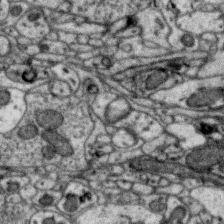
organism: Zebra finch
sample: Brain